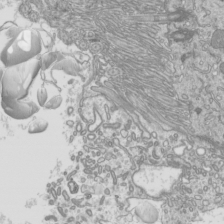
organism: Mouse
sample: Cilia; mouse epididymis